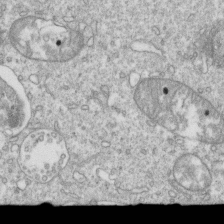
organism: Mouse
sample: Activated OT-1 CD8+ T cells